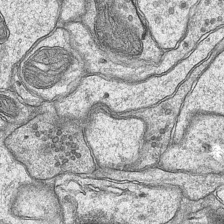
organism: Mouse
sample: CA1 Hippocampus